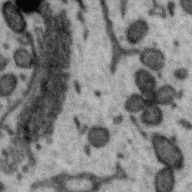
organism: Zebra finch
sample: Brain